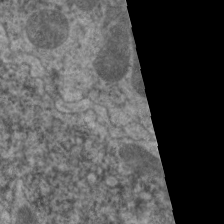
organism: C. elegans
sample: Pharynx